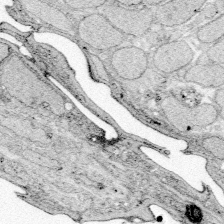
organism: Zebrafish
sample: Whole-Brain